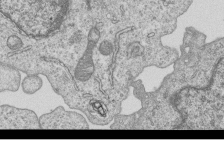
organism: Human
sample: MDA-MB-231 cells